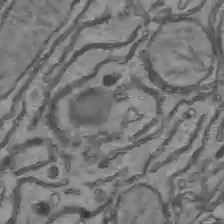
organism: C57BL Mouse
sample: Liver